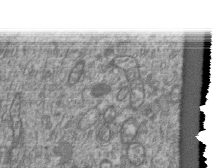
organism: Human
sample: Retinal organoid Rod and Cone cells